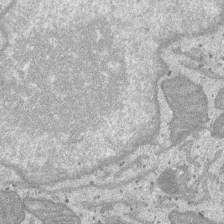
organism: Human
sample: Lung epithelial cells infected with SARS-CoV-2